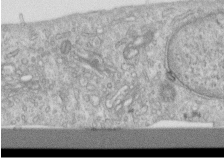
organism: Human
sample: Centriole in RPE cells